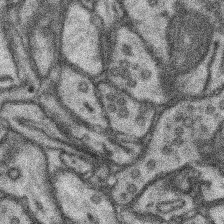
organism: Mouse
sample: Somatosensory cortex neuropil